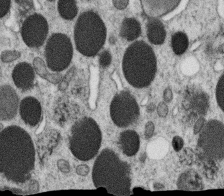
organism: C. elegans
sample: C. elegans oocyte; sperm cells